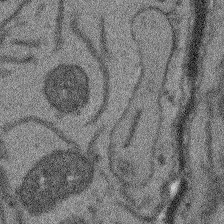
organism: Arabidopsis thaliana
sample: Root tip